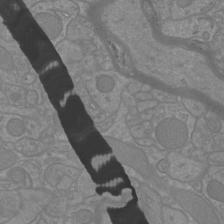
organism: Mouse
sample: Cortical neurons